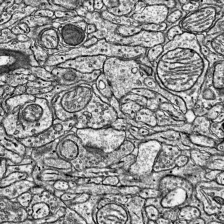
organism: Mouse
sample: Visual Cortex